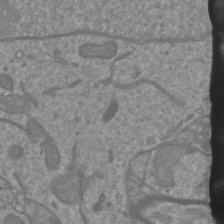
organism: Mouse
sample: Cortical neurons